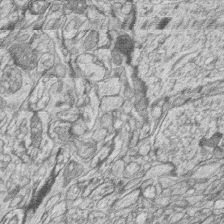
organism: Zebrafish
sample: synaptic ribbons in rod cells and cone cells